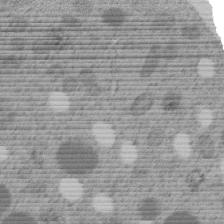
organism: C. elegans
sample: C. elegans embryo early stage